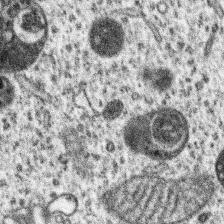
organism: Human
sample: HeLa cells